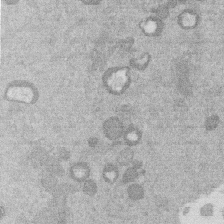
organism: Mouse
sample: Dividing mouse embryo 1 cell stage